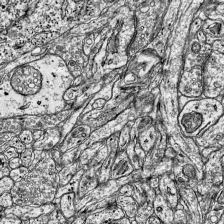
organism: Mouse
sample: Visual Cortex